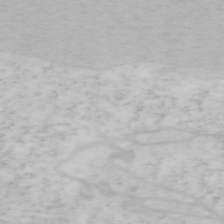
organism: Mouse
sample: OT-I killer T cells with ID8 ovarian cancer cells